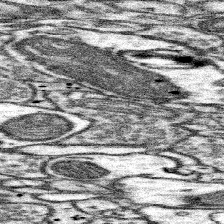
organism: Mouse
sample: Somatosensory cortex neuropil